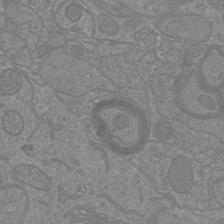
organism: Mouse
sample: Cortical neurons